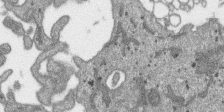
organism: Human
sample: Lung epithelial cells infected with SARS-CoV-2